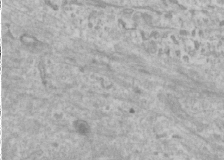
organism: Human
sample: Cilia; basal body in RPE cells